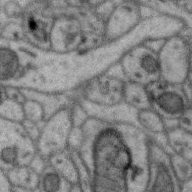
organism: Zebra finch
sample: Brain